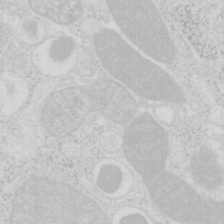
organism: Mouse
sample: Pancreas